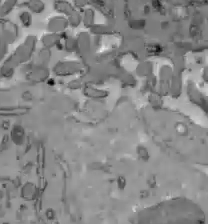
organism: C57BL Mouse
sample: Liver